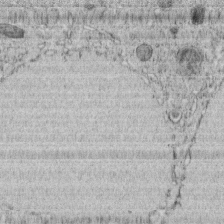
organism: C. elegans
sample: C. elegans embryo early stage